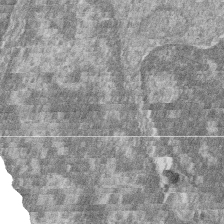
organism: Zebrafish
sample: Cilia; retinal pigment epithelium